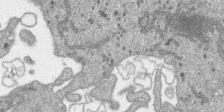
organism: Human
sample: Lung epithelial cells infected with SARS-CoV-2